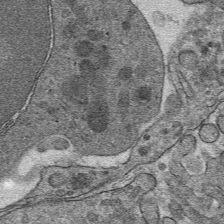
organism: Mouse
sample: Mouse hepatocytes